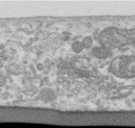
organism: Human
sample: Centriole in RPE cells